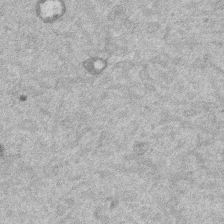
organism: Mouse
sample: Dividing mouse embryo 1 cell stage